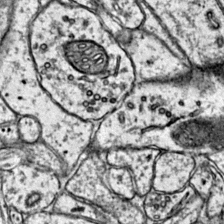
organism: Mouse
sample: Primary visual cortex